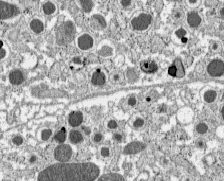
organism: C57BL Mouse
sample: Pancreatic islet